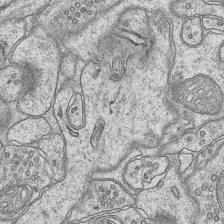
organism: Mouse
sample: CA1 Hippocampus